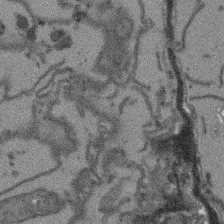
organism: Arabidopsis thaliana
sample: Root tip